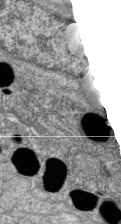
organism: Zebrafish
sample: Cilia; retinal pigment epithelium